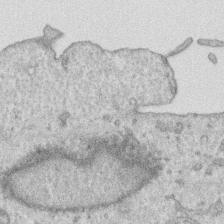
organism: Human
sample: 1205lu cells